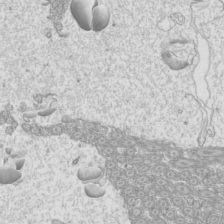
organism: Mouse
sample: Cilia; mouse epididymis